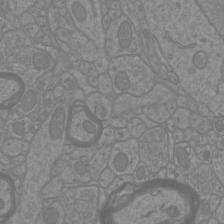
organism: Mouse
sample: Cortical neurons